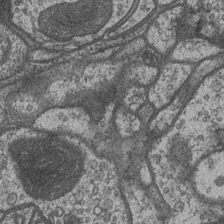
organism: Drosophila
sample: Optic medulla